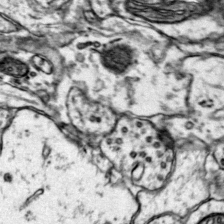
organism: Mouse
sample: Primary visual cortex